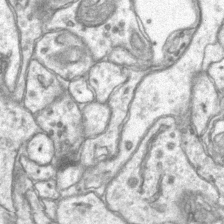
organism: Mouse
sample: CA1 Hippocampus